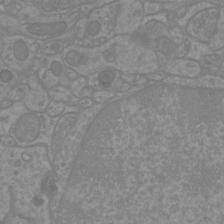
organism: Mouse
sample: Cortical neurons